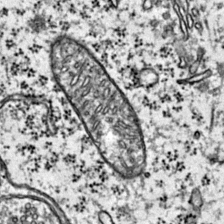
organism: Mouse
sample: Primary visual cortex